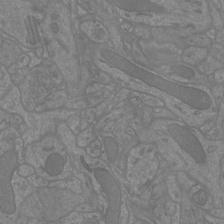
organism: Mouse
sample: Cortical neurons